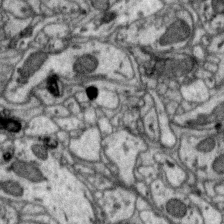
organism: Zebra finch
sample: Brain